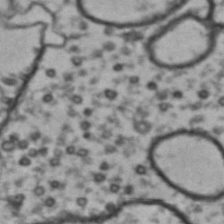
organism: Drosophila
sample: Brain